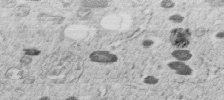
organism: C. elegans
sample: C. elegans embryo early stage